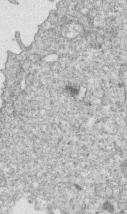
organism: Human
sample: HeLa cell HIV synapse